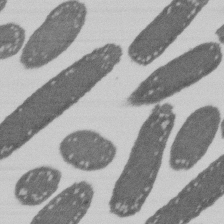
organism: E. coli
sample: Bacterial nucleoid